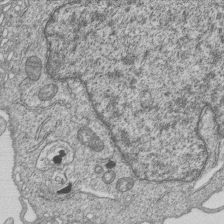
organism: Human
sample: MDA-MB-231 cells